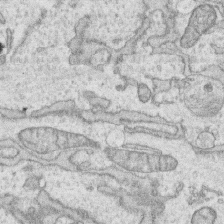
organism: Human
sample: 1205lu cells